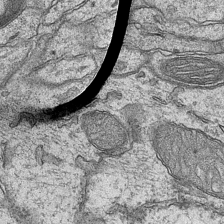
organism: Mouse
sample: CA1 Hippocampus